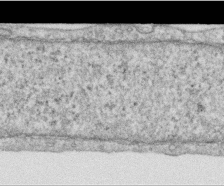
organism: Human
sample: Centriole in RPE cells